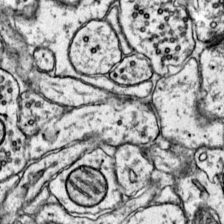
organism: Mouse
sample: Primary visual cortex